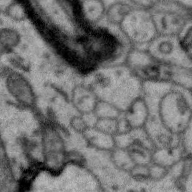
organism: Zebra finch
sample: Brain